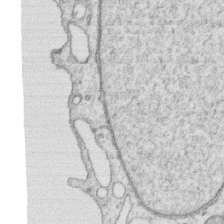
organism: Human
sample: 1205lu cells